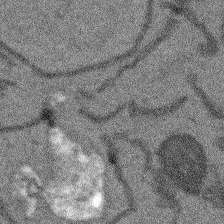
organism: Arabidopsis thaliana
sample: Root tip